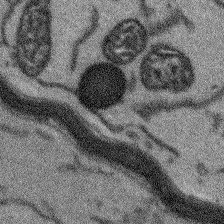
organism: Arabidopsis thaliana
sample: Root tip